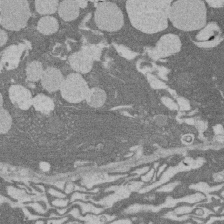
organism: Rat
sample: Salivary granule